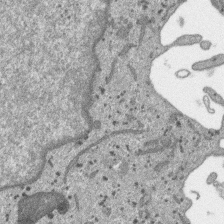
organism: Human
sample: Lung epithelial cells infected with SARS-CoV-2